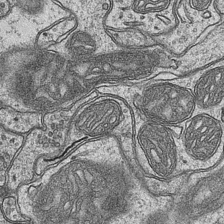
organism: Mouse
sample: CA1 Hippocampus